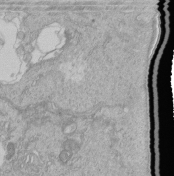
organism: Human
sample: Retinal organoid Rod and Cone cells